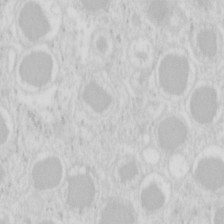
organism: Mouse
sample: Pancreas